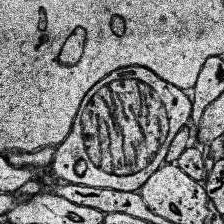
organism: Human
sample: Temporal Lobe